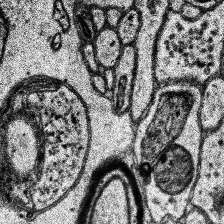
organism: Human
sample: Temporal Lobe